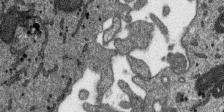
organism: Human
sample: Lung epithelial cells infected with SARS-CoV-2